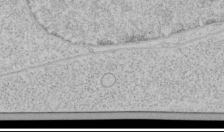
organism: Human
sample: Mitochondria in HCT116 cells